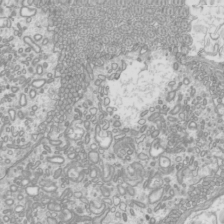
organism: Mouse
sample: Cilia; mouse epididymis